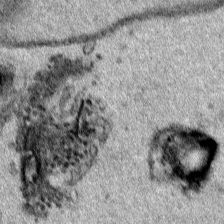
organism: Human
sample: Mitochondria in HCT116 cells